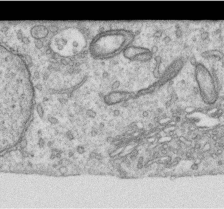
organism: Human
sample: Centriole in RPE cells